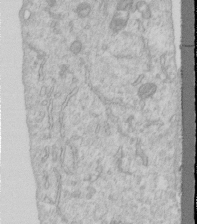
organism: Human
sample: Centriole in RPE cells